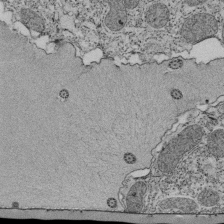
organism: Tetrahymena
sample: Cilia in tetrahymena